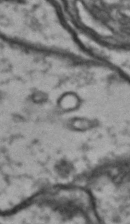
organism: Drosophila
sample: Brain